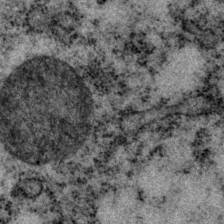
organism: P. pacificus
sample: Pharynx